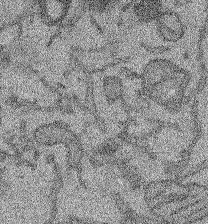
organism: Human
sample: HeLa cells